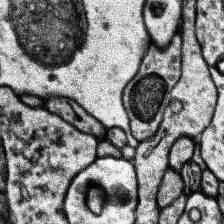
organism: Human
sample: Temporal Lobe